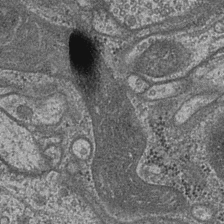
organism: Drosophila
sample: Optic medulla